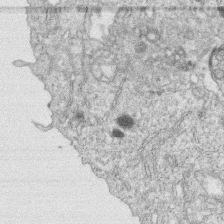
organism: Human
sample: HeLa cell HIV synapse